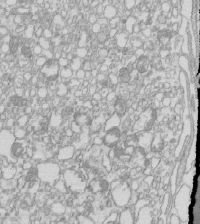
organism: Mouse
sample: Macrophages